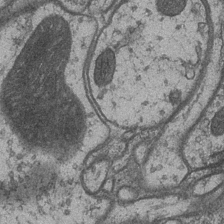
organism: Drosophila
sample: Optic medulla